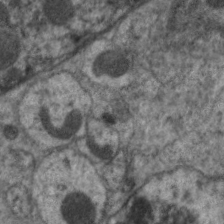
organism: C. elegans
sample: Pharynx